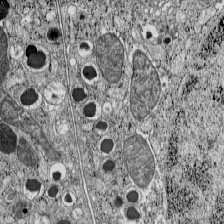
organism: C57BL Mouse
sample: Pancreatic islet